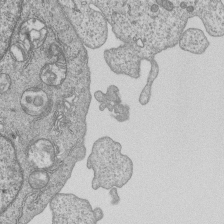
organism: Human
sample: MDA-MB-231 cells